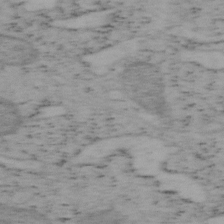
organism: Mouse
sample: OT-I killer T cells with ID8 ovarian cancer cells